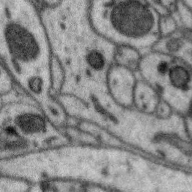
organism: Zebra finch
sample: Brain